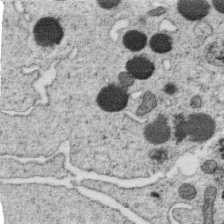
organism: C. elegans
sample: C. elegans oocyte; sperm cells